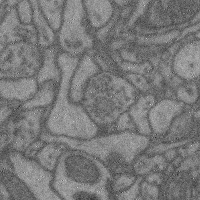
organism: Mouse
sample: Cerebral cortex